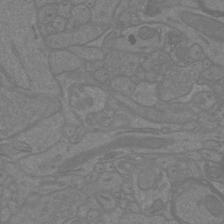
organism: Mouse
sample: Cortical neurons